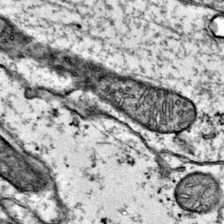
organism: Mouse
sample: Primary visual cortex